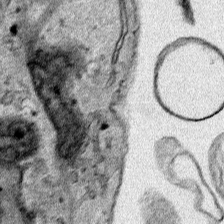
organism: Human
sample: Mitochondria in HCT116 cells